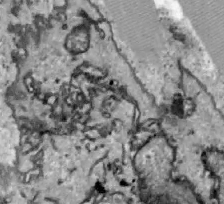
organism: Zebrafish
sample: Actinotrichia fibers